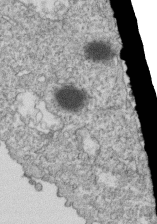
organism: Human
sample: HeLa cell HIV synapse